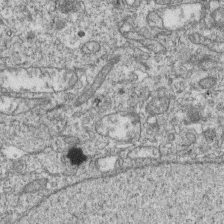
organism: Human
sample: HeLa cell HIV synapse